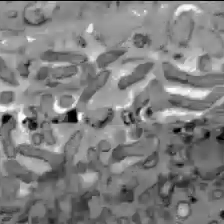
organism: C57BL Mouse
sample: Liver